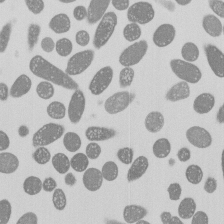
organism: E. coli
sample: Bacterial nucleoid